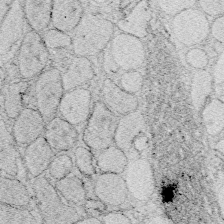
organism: Zebrafish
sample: Whole-Brain